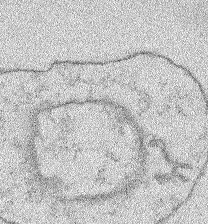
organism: Human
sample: HeLa cells